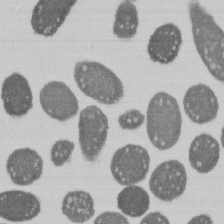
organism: E. coli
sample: Bacterial nucleoid